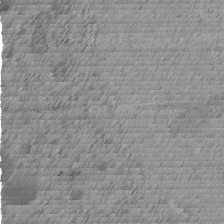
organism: C. elegans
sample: C. elegans embryo early stage